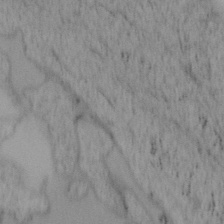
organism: Mouse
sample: OT-I killer T cells with ID8 ovarian cancer cells